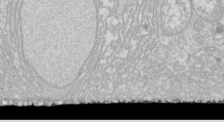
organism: Drosophila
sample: Cell division; meiosis; drosophila spermatocytes